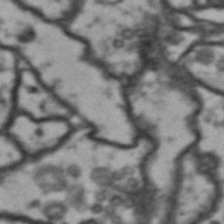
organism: Drosophila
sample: Brain